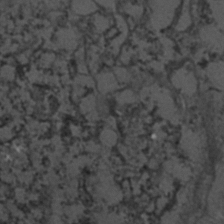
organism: C. elegans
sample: C. elegans embryo